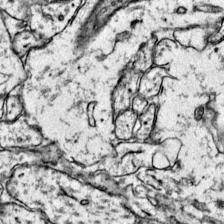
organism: Mouse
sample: Primary visual cortex